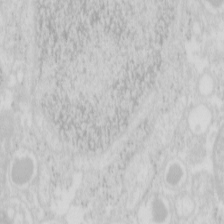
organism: Mouse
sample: Pancreas